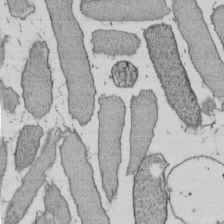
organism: E. coli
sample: Bacterial nucleoid